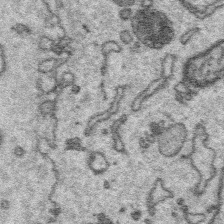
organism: Platynereis dumerilii